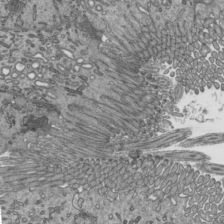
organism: Mouse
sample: Mouse epididymis efferent ductule cilia